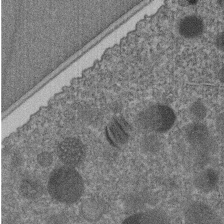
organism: C. elegans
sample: C. elegans embryo early stage